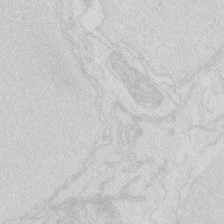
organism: Zebrafish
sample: Macrophage